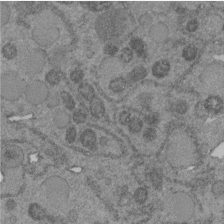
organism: C. elegans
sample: C. elegans embryo early stage